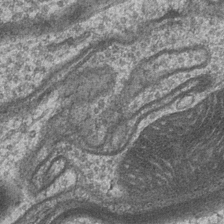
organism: Drosophila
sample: Optic medulla